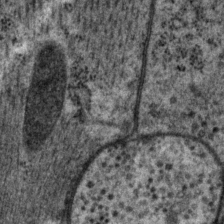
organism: P. pacificus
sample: Pharynx